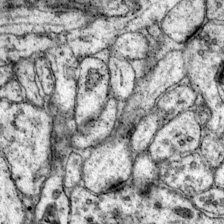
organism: Mouse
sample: Primary visual cortex